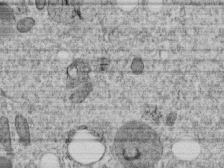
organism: C. elegans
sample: C. elegans embryo early stage